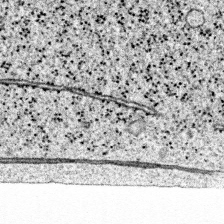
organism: Human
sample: HeLa cells